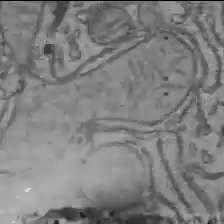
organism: C57BL Mouse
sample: Liver